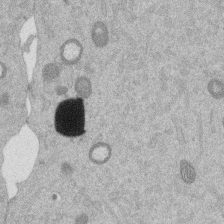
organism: Mouse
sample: Dividing mouse embryo 1 cell stage